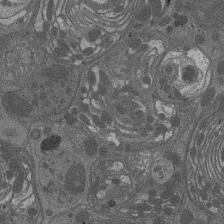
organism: Drosophila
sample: Antenna